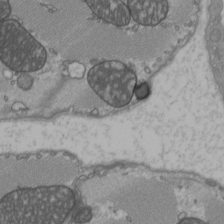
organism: C57BL Mouse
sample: Heart